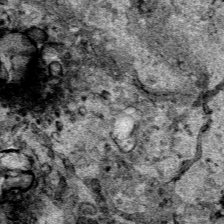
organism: Human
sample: Mitochondria in HCT116 cells